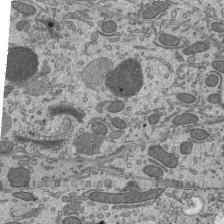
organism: Mouse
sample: Mouse epididymis efferent ductule cilia